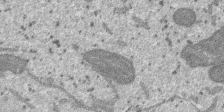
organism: Human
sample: Lung epithelial cells infected with SARS-CoV-2